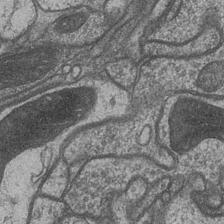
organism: Drosophila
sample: Optic medulla